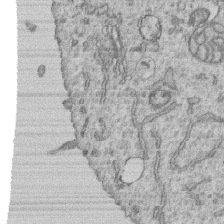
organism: Human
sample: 1205lu cells